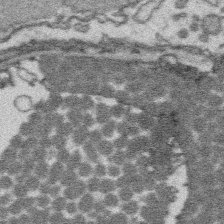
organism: Platynereis dumerilii